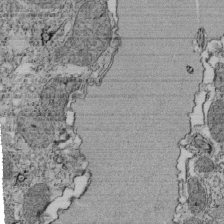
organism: Tetrahymena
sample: Cilia in tetrahymena